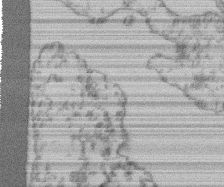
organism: Mouse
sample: T cell stromal cell synapse